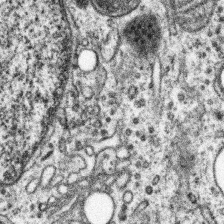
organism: Human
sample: HeLa cells